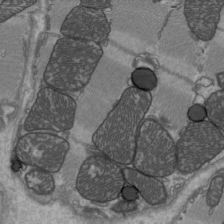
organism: C57BL Mouse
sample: Heart